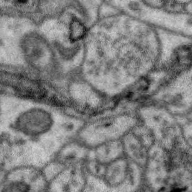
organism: Zebra finch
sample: Brain